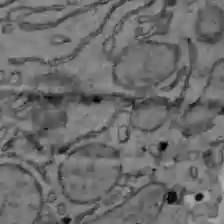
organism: C57BL Mouse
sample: Liver